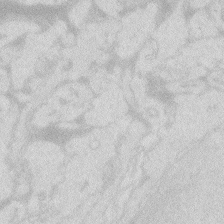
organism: Zebrafish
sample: Macrophage